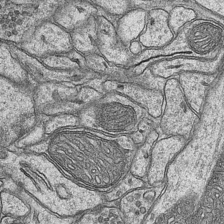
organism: Mouse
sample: CA1 Hippocampus